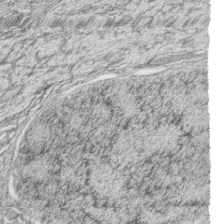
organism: Zebrafish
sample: synaptic ribbons in rod cells and cone cells